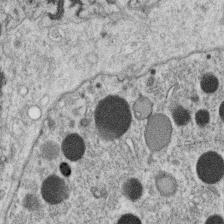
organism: C. elegans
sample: C. elegans oocyte; sperm cells